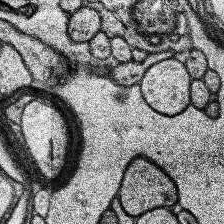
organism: Human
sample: Temporal Lobe